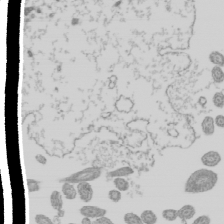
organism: Mouse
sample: Cilia; mouse epididymis